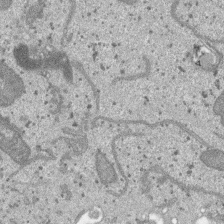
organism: Human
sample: Lung epithelial cells infected with SARS-CoV-2